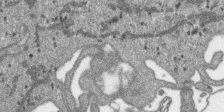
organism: Human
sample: Lung epithelial cells infected with SARS-CoV-2